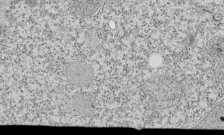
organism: Tetrahymena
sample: Cilia in tetrahymena